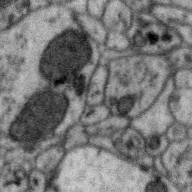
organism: Zebra finch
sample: Brain